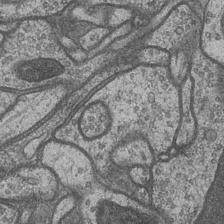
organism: Drosophila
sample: Optic medulla